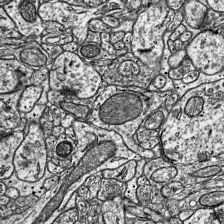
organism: Mouse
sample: Visual Cortex